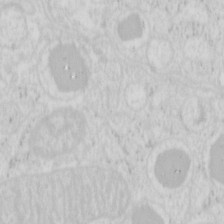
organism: Mouse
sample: Pancreas